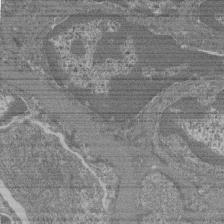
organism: Mouse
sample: Glomerulus